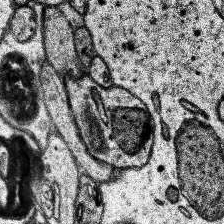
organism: Human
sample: Temporal Lobe